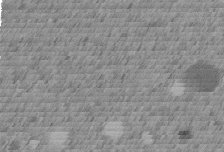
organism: C. elegans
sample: C. elegans embryo early stage